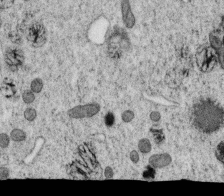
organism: C. elegans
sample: C. elegans oocyte; sperm cells